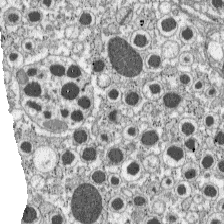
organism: C57BL Mouse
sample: Pancreatic islet